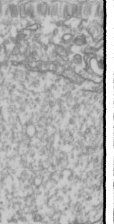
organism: Drosophila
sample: Cell division; meiosis; drosophila spermatocytes